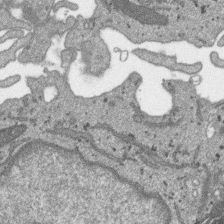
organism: Human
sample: Lung epithelial cells infected with SARS-CoV-2